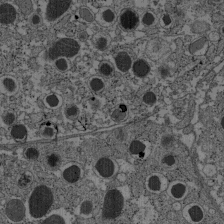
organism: C57BL Mouse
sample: Pancreatic islet